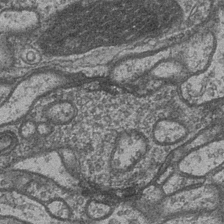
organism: Drosophila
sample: Optic medulla